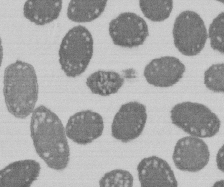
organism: E. coli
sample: Bacterial nucleoid